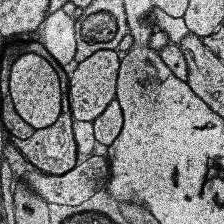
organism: Human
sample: Temporal Lobe